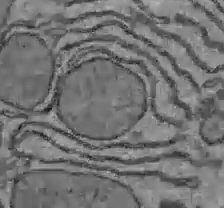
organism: C57BL Mouse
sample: Liver